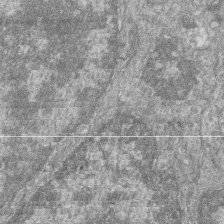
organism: Zebrafish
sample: Cilia; retinal pigment epithelium